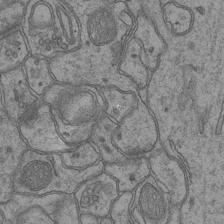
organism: Mouse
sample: CA1 Hippocampus